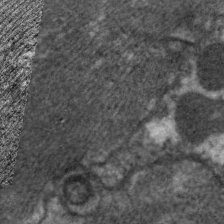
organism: C. elegans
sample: Pharynx